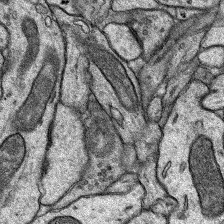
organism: Rat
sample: Hippocampus